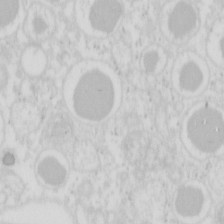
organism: Mouse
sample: Pancreas